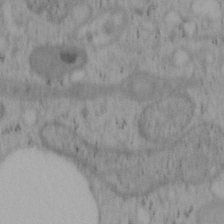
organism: Mouse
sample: OT-I killer T cells with ID8 ovarian cancer cells